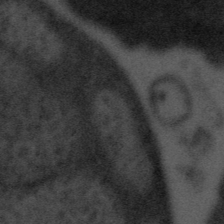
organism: Tuwongella immobilis